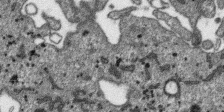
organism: Human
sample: Lung epithelial cells infected with SARS-CoV-2